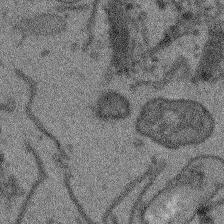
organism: Arabidopsis thaliana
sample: Root tip